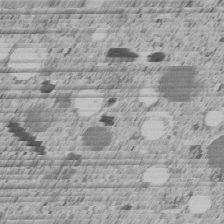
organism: C. elegans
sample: C. elegans embryo early stage